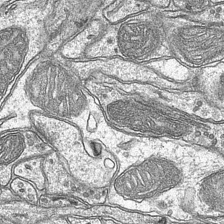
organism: Mouse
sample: CA1 Hippocampus